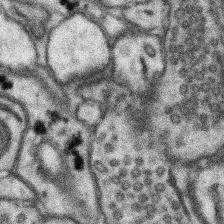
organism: Mouse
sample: Somatosensory cortex neuropil